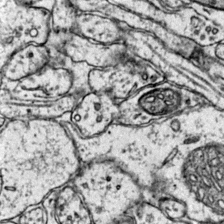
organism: Mouse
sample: Primary visual cortex